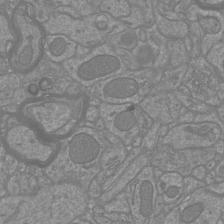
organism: Mouse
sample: Cortical neurons